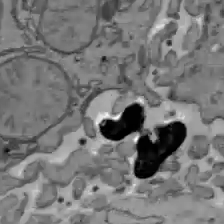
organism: C57BL Mouse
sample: Liver